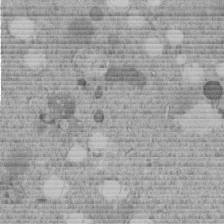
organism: C. elegans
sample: C. elegans embryo early stage